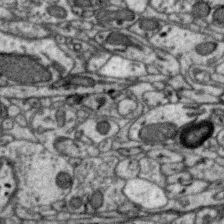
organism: Zebra finch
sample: Brain